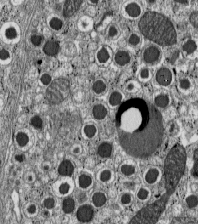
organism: C57BL Mouse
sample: Pancreatic islet